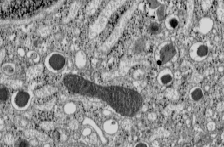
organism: C57BL Mouse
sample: Pancreatic islet